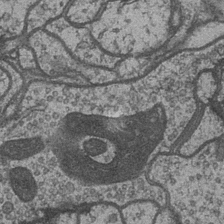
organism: Drosophila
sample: Optic medulla